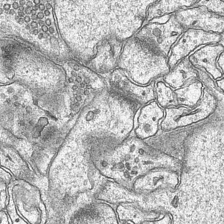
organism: Mouse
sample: CA1 Hippocampus